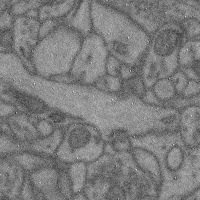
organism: Mouse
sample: Cerebral cortex